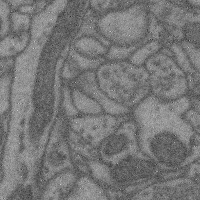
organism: Mouse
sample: Cerebral cortex